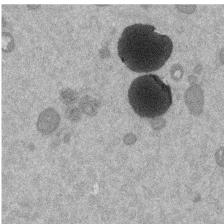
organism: Mouse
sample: Dividing mouse embryo 1 cell stage